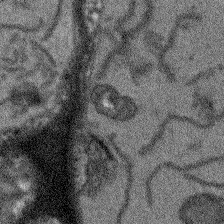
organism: Arabidopsis thaliana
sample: Root tip